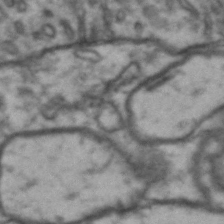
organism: Drosophila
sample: Brain